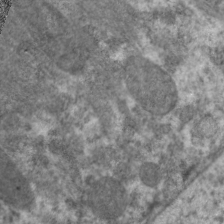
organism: C. elegans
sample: Pharynx